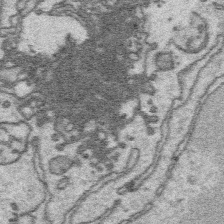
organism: Platynereis dumerilii